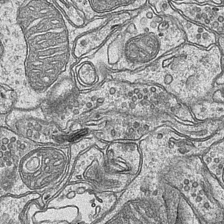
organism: Mouse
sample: CA1 Hippocampus